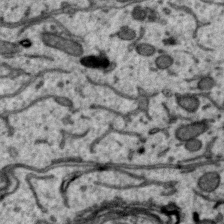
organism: Zebra finch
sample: Brain